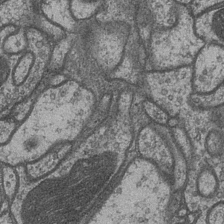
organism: Drosophila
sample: Optic medulla